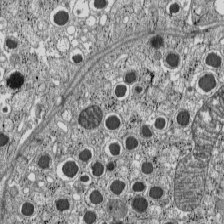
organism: C57BL Mouse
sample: Pancreatic islet